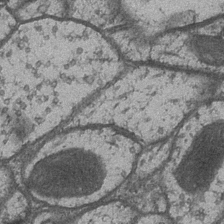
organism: Drosophila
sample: Optic medulla